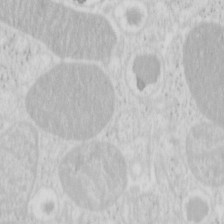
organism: Mouse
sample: Pancreas